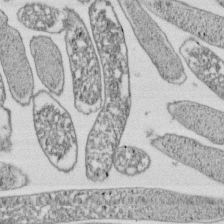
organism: E. coli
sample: Bacterial nucleoid